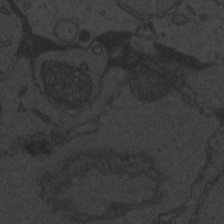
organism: Zebrafish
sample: Macrophage infected with Toxoplasma gondii